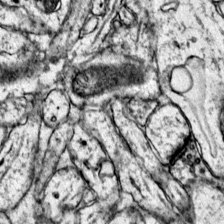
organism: Mouse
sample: Primary visual cortex